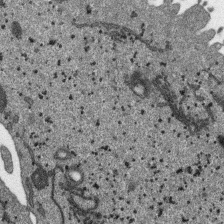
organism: Human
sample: Lung epithelial cells infected with SARS-CoV-2